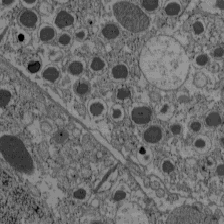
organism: C57BL Mouse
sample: Pancreatic islet